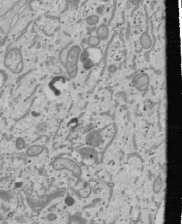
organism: Human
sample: Mitochondria in U2OS cells